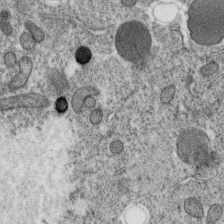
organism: C. elegans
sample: C. elegans oocyte; sperm cells